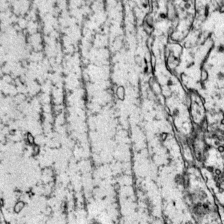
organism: Mouse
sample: Primary visual cortex